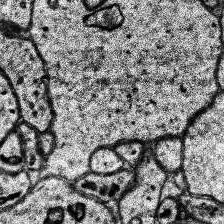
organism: Human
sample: Temporal Lobe